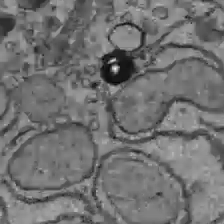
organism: C57BL Mouse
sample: Liver